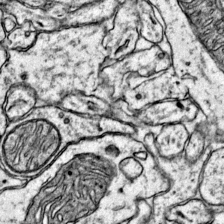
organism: Mouse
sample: Primary visual cortex